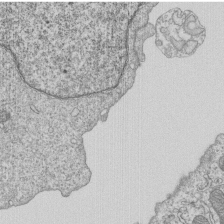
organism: Human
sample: MDA-MB-231 cells